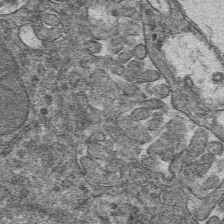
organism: Mouse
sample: Mouse hepatocytes